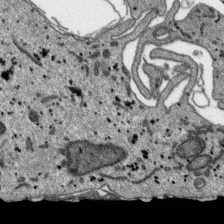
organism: Human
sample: Lung epithelial cells, uninfected (mock) control